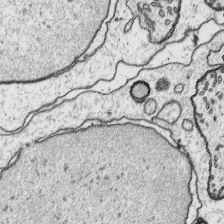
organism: Platynereis dumerilii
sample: Parapodia